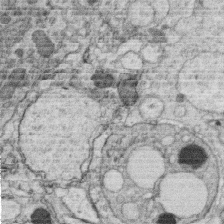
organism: C. elegans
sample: C. elegans oocyte; sperm cells